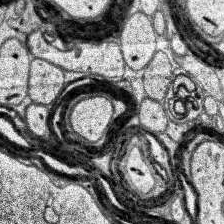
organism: Human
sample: Temporal Lobe